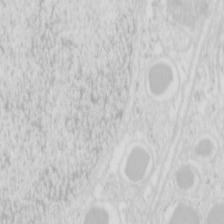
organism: Mouse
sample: Pancreas